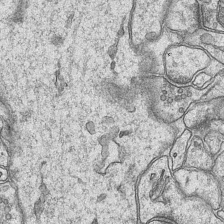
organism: Mouse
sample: CA1 Hippocampus